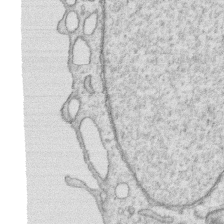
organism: Human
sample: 1205lu cells